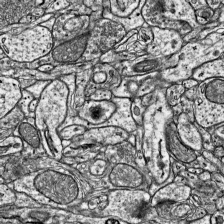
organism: Mouse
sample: Visual Cortex